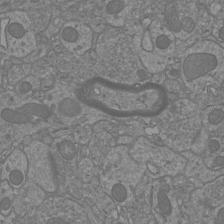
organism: Mouse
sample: Cortical neurons